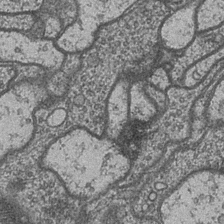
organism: Drosophila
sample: Optic medulla